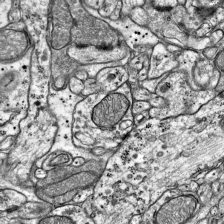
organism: Mouse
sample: Visual Cortex